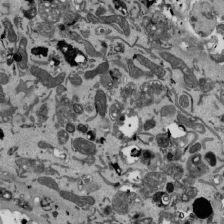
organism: Mouse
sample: ED-1 cell nuclei; centrioles